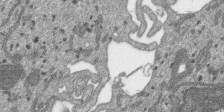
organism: Human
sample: Lung epithelial cells infected with SARS-CoV-2